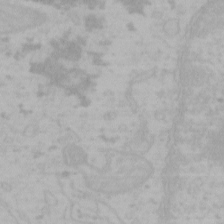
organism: Mouse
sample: Choroid plexus